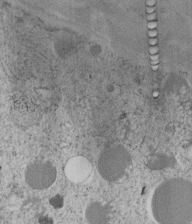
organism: C. elegans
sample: C. elegans embryo early stage